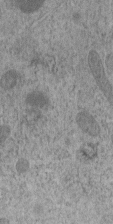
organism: C. elegans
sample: C. elegans embryo early stage